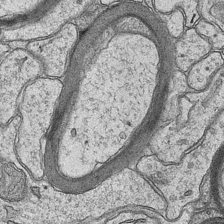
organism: Mouse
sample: CA1 Hippocampus